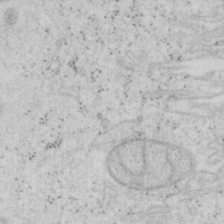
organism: Human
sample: HeLa cells